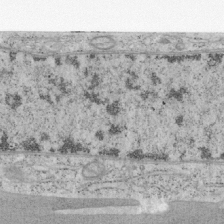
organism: Human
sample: HeLa cells